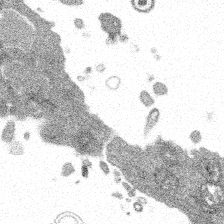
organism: Spongilla lacustris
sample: Multiple